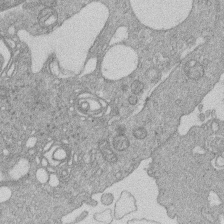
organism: Human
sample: Macrophage cells